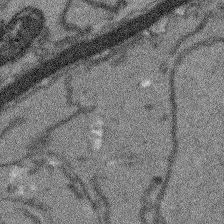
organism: Arabidopsis thaliana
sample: Root tip